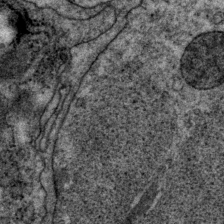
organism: P. pacificus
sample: Pharynx